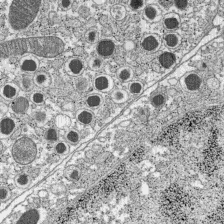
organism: C57BL Mouse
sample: Pancreatic islet